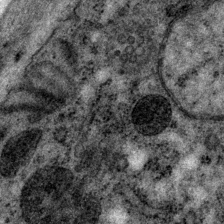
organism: P. pacificus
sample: Pharynx